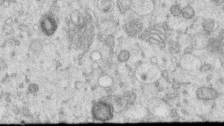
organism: Human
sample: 1205lu cells